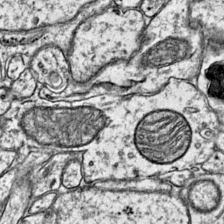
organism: Mouse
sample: Primary visual cortex